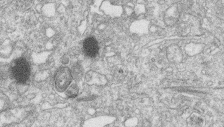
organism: Human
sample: HeLa cell HIV synapse